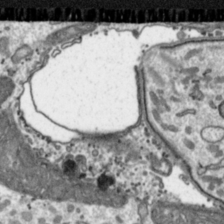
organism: Toxoplasma gondii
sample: Parasites in a vacuole inside a host cell